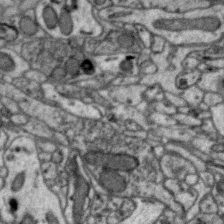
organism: Zebra finch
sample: Brain